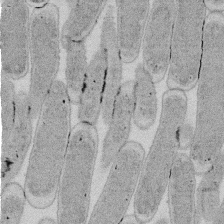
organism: E. coli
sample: Bacterial nucleoid